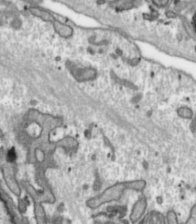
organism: Toxoplasma gondii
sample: Parasites in a vacuole inside a host cell